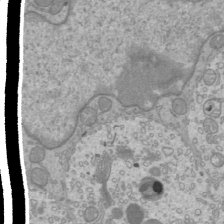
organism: Mouse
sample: Cilia; mouse epididymis